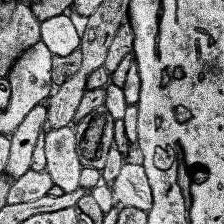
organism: Human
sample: Temporal Lobe